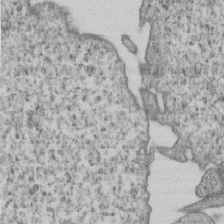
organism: Human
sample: MDA-MB-231 cells